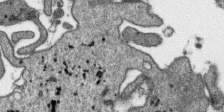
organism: Human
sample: Lung epithelial cells, uninfected (mock) control